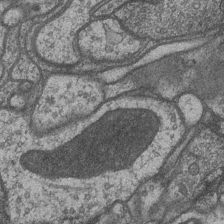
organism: Drosophila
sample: Optic medulla